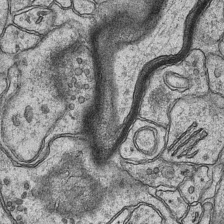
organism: Mouse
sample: CA1 Hippocampus